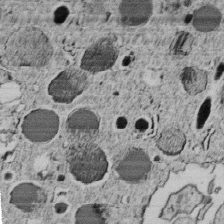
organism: C. elegans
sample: C. elegans embryo early stage